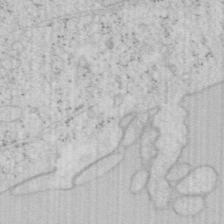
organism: Human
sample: HeLa cells